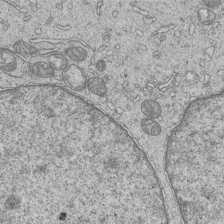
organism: Human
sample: MDA-MB-231 cells